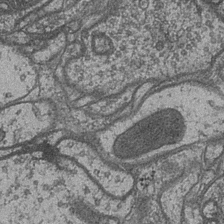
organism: Drosophila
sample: Optic medulla